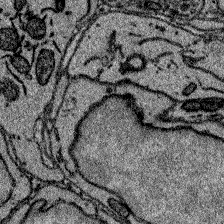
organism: Zebrafish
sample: Larval olfactory bulb